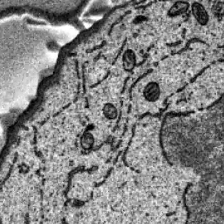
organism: Human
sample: HeLa cells